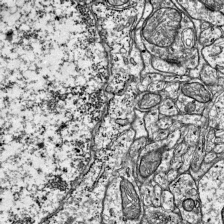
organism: Mouse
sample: Visual Cortex